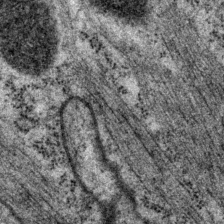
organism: P. pacificus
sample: Pharynx